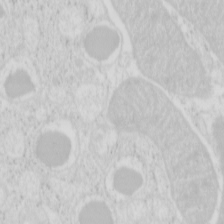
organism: Mouse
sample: Pancreas